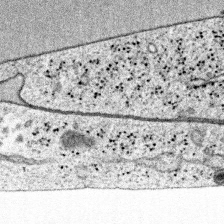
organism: Human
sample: HeLa cells